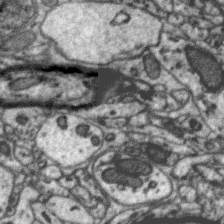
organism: Zebra finch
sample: Brain